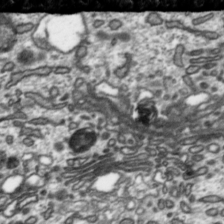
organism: Toxoplasma gondii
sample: Parasites in a vacuole inside a host cell